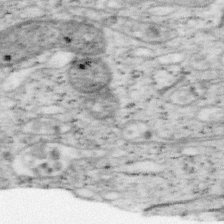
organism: Mouse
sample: OT-I killer T cells with ID8 ovarian cancer cells